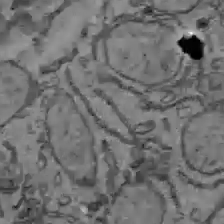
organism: C57BL Mouse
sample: Liver